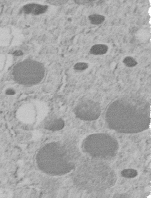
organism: C. elegans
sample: C. elegans embryo early stage